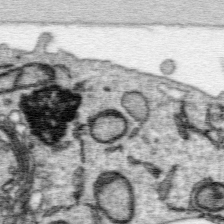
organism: Human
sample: HeLa cells